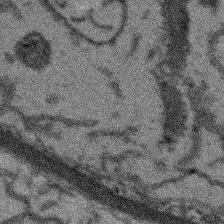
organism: Arabidopsis thaliana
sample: Root tip